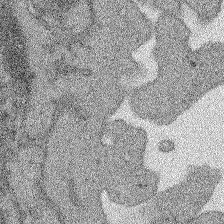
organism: Human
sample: HeLa cells